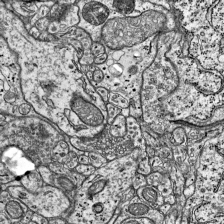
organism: Mouse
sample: Visual Cortex